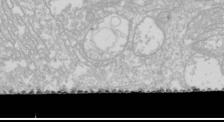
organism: Drosophila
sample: Cell division; meiosis; drosophila spermatocytes